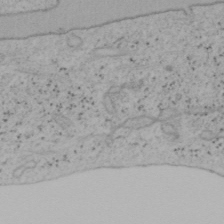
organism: Human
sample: HeLa cells